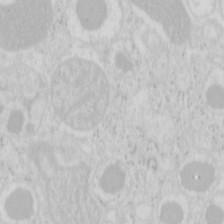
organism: Mouse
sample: Pancreas